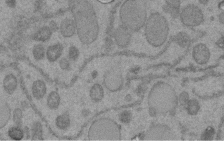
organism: C. elegans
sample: C. elegans embryo early stage